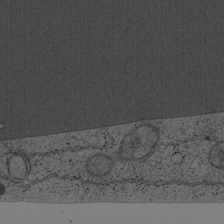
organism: African green monkey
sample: COS-7 cells